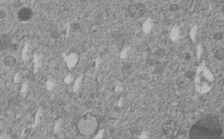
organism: C. elegans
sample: C. elegans embryo early stage